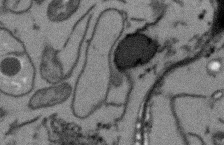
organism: Arabidopsis thaliana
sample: Root tip